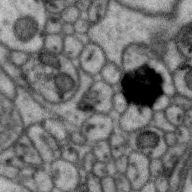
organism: Zebra finch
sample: Brain